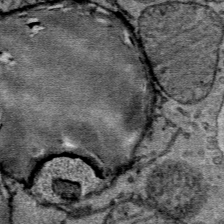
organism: Mouse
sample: Mouse Salivary gland